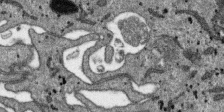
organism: Human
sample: Lung epithelial cells, uninfected (mock) control